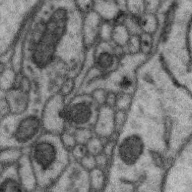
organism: Zebra finch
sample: Brain